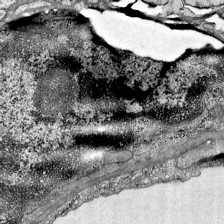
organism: Mouse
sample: Visual Cortex